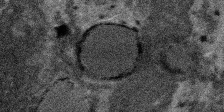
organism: Human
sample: Lung epithelial cells infected with SARS-CoV-2